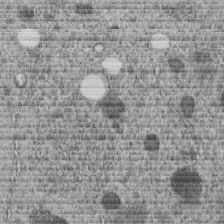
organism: C. elegans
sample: C. elegans embryo early stage